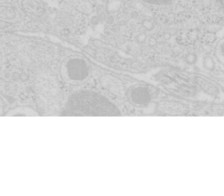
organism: Mouse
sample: Pancreas